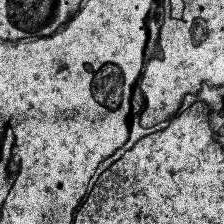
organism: Human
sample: Temporal Lobe